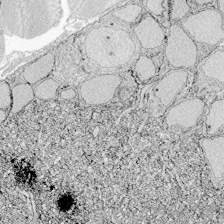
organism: Zebrafish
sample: Whole-Brain